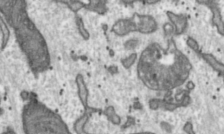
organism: Toxoplasma gondii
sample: Parasites in a vacuole inside a host cell